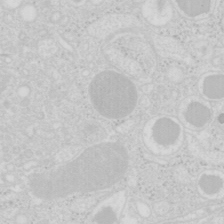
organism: Mouse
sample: Pancreas